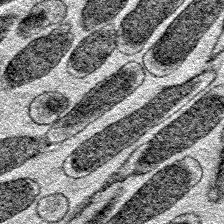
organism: E. coli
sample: E. Coli Bacteria